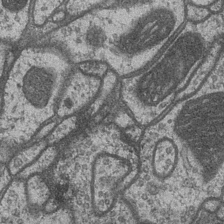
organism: Drosophila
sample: Optic medulla